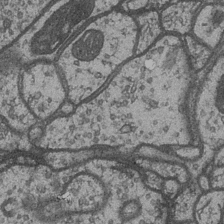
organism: Drosophila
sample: Optic medulla